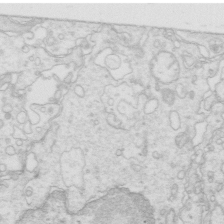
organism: Mouse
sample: Multiciliated cells